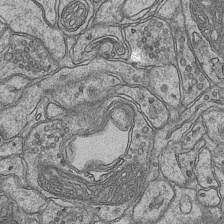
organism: Mouse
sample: CA1 Hippocampus